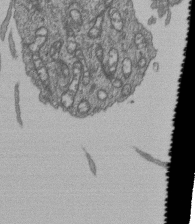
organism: Human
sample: Retinal organoid Rod and Cone cells